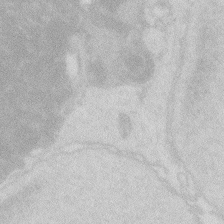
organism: Zebrafish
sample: Macrophage